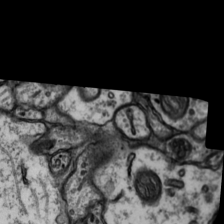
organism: Rat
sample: Hippocampus